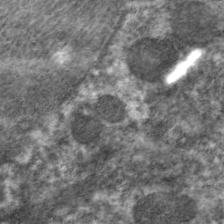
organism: C. elegans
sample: Pharynx